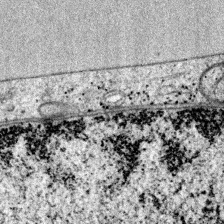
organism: Human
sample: HeLa cells